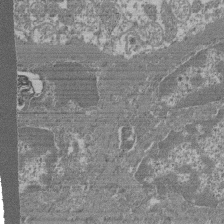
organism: Mouse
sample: Glomerulus